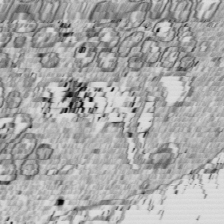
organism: Drosophila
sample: Cell division; meiosis; drosophila spermatocytes